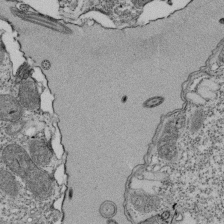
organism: Tetrahymena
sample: Cilia in tetrahymena